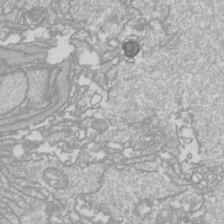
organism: Drosophila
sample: Cell division; meiosis; drosophila spermatocytes